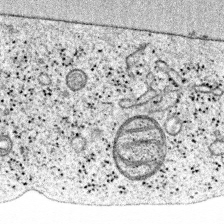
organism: Human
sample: HeLa cells